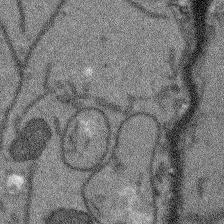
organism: Arabidopsis thaliana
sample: Root tip